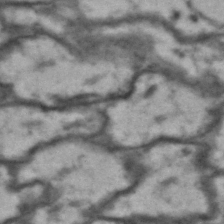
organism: Drosophila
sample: Brain